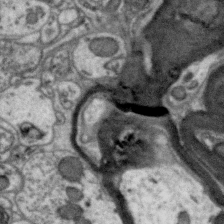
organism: Zebra finch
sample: Brain